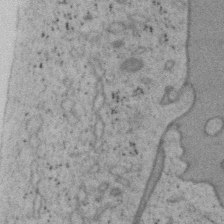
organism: Human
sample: HeLa cells